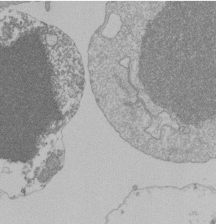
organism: Mouse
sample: Activated Pmel transgenic CD8+ T Cells